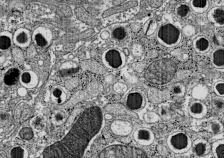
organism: C57BL Mouse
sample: Pancreatic islet